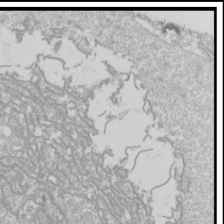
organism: Drosophila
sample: Cell division; meiosis; drosophila spermatocytes